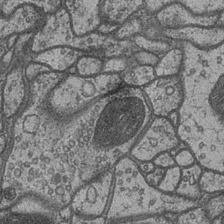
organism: Drosophila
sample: Optic medulla